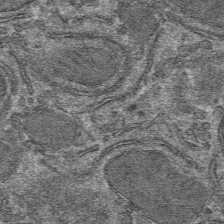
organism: Mouse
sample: Mouse hepatocytes